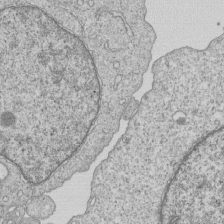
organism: Human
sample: MDA-MB-231 cells